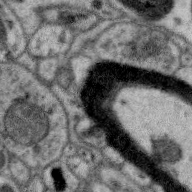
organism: Zebra finch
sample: Brain